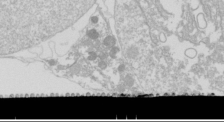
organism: Drosophila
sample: Cell division; meiosis; drosophila spermatocytes